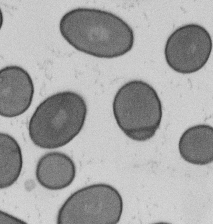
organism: B. subtilis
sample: Bacterial spore